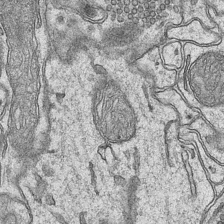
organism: Mouse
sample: CA1 Hippocampus